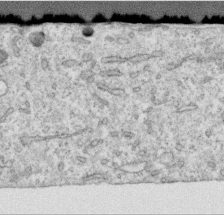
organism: Human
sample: Centriole in RPE cells